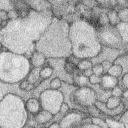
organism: Rabbit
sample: Retina